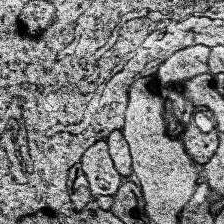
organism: Human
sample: Temporal Lobe